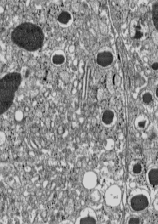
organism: C57BL Mouse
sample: Pancreatic islet